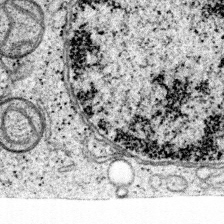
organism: Human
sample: HeLa cells